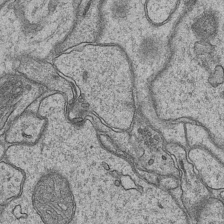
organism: Mouse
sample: CA1 Hippocampus